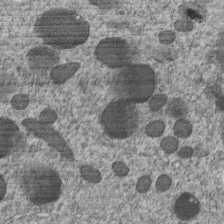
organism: C. elegans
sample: C. elegans embryo early stage